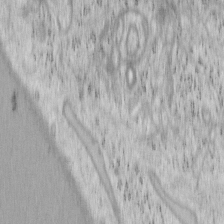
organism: Human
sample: HeLa cells